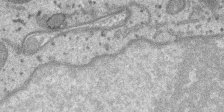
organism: Human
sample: Lung epithelial cells infected with SARS-CoV-2